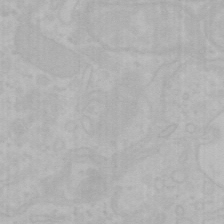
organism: Mouse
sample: Choroid plexus